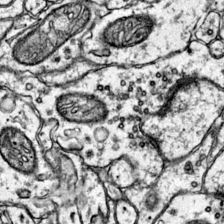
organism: Mouse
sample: Primary visual cortex